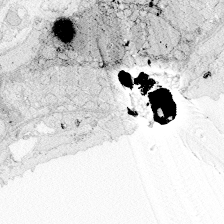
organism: Zebrafish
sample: Whole-Brain